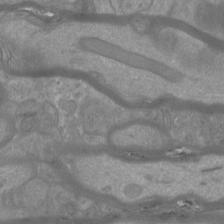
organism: Mouse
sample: Cortical neurons